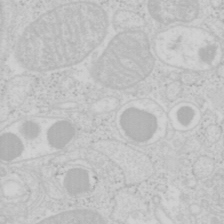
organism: Mouse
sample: Pancreas